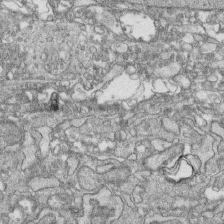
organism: Human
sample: CRL-1474